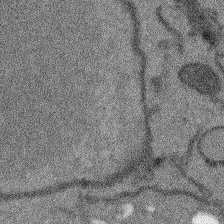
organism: Arabidopsis thaliana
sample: Root tip